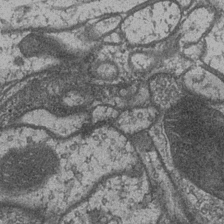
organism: Drosophila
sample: Optic medulla